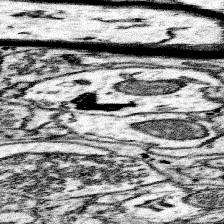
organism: Mouse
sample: Somatosensory cortex neuropil